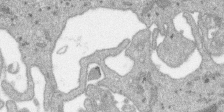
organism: Human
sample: Lung epithelial cells infected with SARS-CoV-2